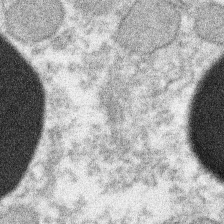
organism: Xenopus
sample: Cilia; centrioles in frog embryo cells